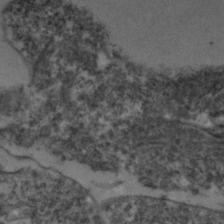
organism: Zebrafish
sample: Zebrafish embryo